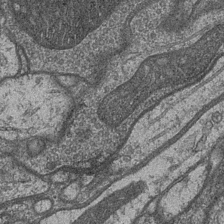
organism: Drosophila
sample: Optic medulla